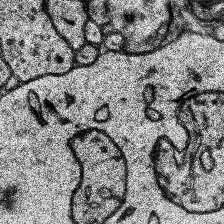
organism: Human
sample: Temporal Lobe